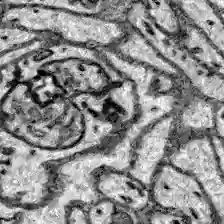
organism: Zebrafish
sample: Brain